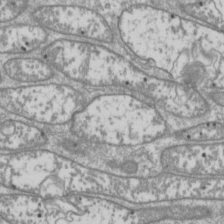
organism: Drosophila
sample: Cell division; meiosis; drosophila spermatocytes